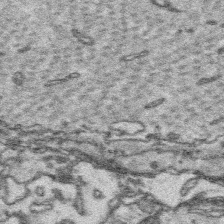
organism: Platynereis dumerilii